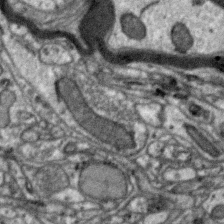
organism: Zebra finch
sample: Brain